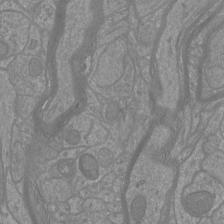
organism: Mouse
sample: Cortical neurons